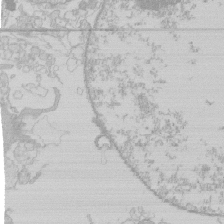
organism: Human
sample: Macrophage cells